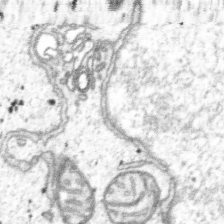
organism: Human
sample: HeLa cells